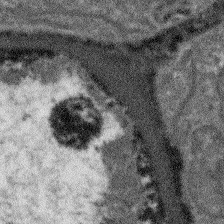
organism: Arabidopsis thaliana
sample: Root tip